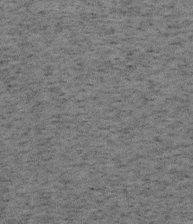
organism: Mouse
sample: OT-I killer T cells with ID8 ovarian cancer cells